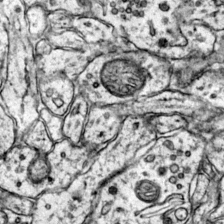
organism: Mouse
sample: Primary visual cortex